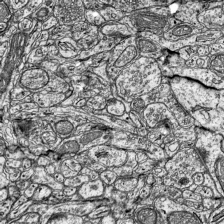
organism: Mouse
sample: Visual Cortex